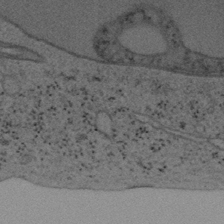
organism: Human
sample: HeLa cells